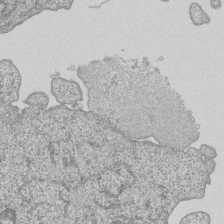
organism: Human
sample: MDA-MB-231 cells